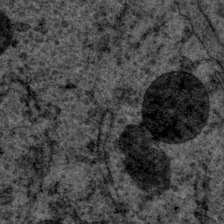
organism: P. pacificus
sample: Pharynx